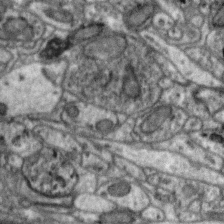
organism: Zebra finch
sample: Brain